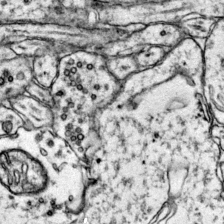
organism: Mouse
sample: Primary visual cortex